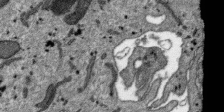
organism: Human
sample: Lung epithelial cells, uninfected (mock) control